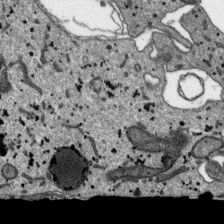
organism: Human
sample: Lung epithelial cells, uninfected (mock) control